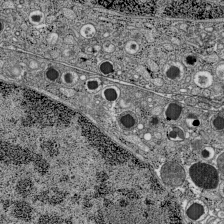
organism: C57BL Mouse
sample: Pancreatic islet